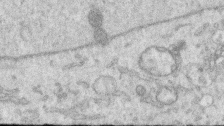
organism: Human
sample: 1205lu cells